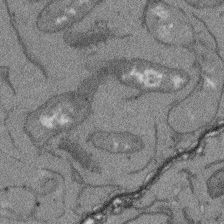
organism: Arabidopsis thaliana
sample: Root tip